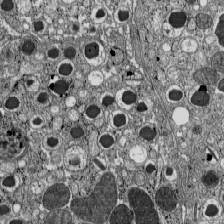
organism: C57BL Mouse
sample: Pancreatic islet